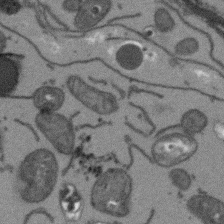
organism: Arabidopsis thaliana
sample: Root tip